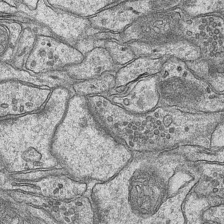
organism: Mouse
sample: CA1 Hippocampus